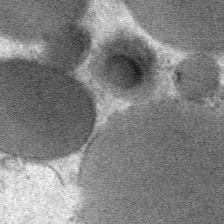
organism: Mouse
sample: Mouse Salivary gland